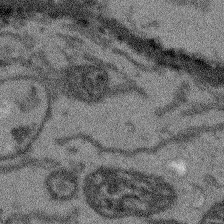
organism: Arabidopsis thaliana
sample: Root tip